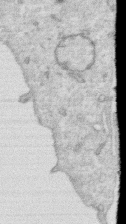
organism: Human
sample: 1205lu cells